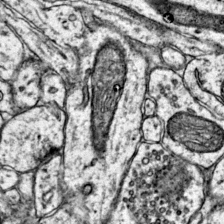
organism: Mouse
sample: Primary visual cortex